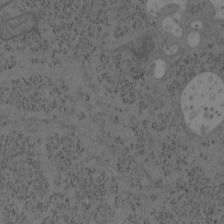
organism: Mouse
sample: OT-I killer T cells with ID8 ovarian cancer cells